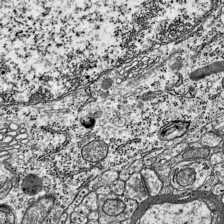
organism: Mouse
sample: Visual Cortex